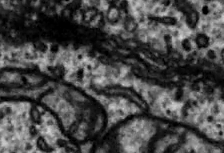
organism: Human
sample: HeLa cells